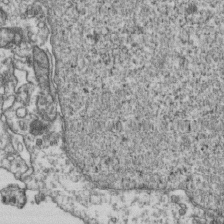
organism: Human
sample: Activated Jurkat CD4+ T cells